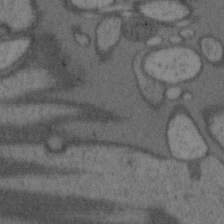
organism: Human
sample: HeLa cells